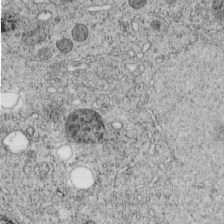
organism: C. elegans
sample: C. elegans embryo early stage